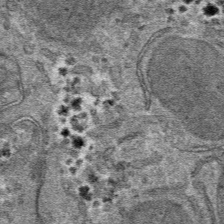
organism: Mouse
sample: Mouse hepatocytes